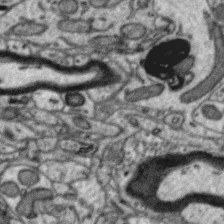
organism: Zebra finch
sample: Brain